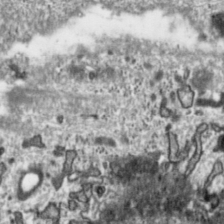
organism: Toxoplasma gondii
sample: Parasites in a vacuole inside a host cell